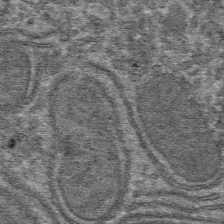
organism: Mouse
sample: Mouse hepatocytes